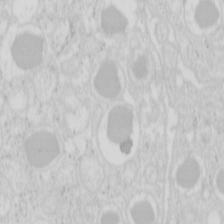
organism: Mouse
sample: Pancreas